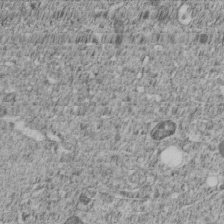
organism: C. elegans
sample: C. elegans embryo early stage